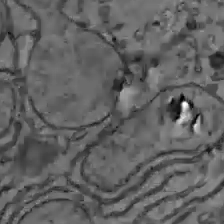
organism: C57BL Mouse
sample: Liver